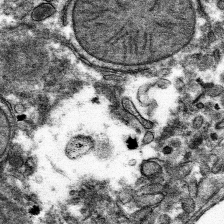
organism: Mouse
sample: Mouse hepatocytes